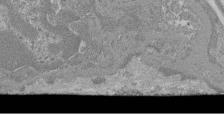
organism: Mouse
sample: Glomerulus